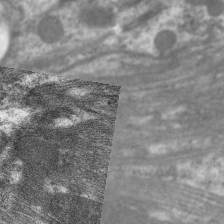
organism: C. elegans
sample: Pharynx